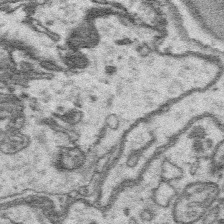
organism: Platynereis dumerilii